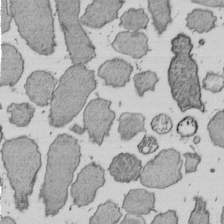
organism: E. coli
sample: Bacterial nucleoid